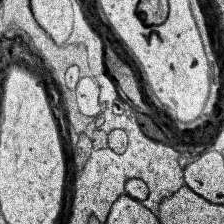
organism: Human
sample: Temporal Lobe